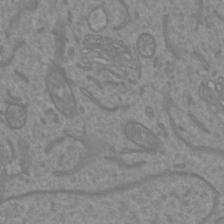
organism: Mouse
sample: Cortical neurons